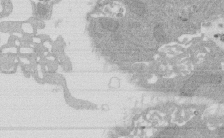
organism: Rat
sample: Salivary granule